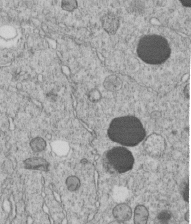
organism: C. elegans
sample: C. elegans embryo early stage